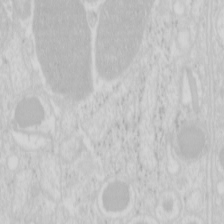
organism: Mouse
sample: Pancreas